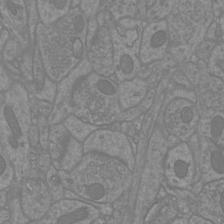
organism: Mouse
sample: Cortical neurons